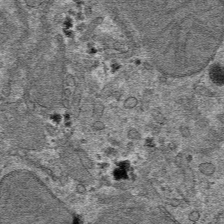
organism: Mouse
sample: Mouse hepatocytes